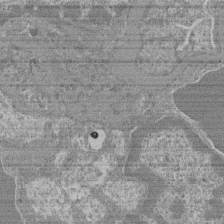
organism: Mouse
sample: Glomerulus